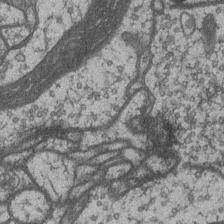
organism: Drosophila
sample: Optic medulla